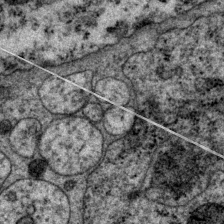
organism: P. pacificus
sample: Pharynx